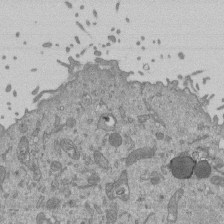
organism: Mouse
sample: ED-1 cell nuclei; centrioles